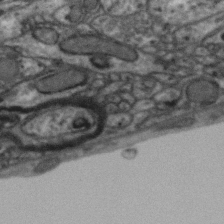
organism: Zebra finch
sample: Brain